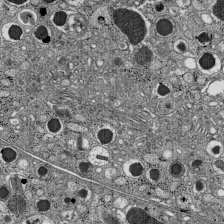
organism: C57BL Mouse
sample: Pancreatic islet